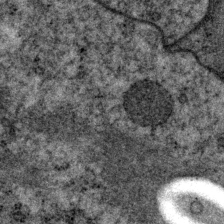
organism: P. pacificus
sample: Pharynx